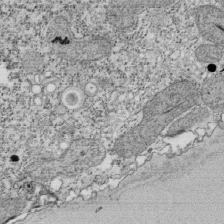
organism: Tetrahymena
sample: Cilia in tetrahymena